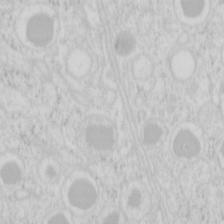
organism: Mouse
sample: Pancreas